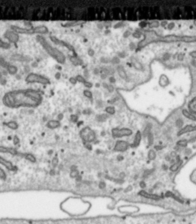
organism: Toxoplasma gondii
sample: Parasites in a vacuole inside a host cell